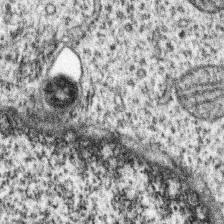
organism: Human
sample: HeLa cells